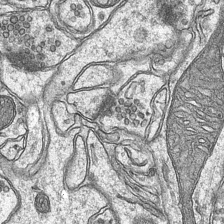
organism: Mouse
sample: CA1 Hippocampus